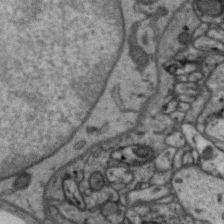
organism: Zebra finch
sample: Brain